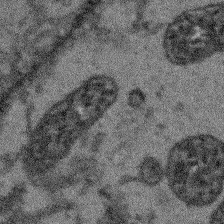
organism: Arabidopsis thaliana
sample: Root tip